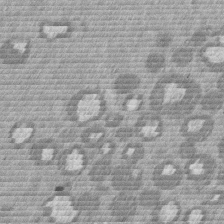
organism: Mouse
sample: Dividing mouse embryo 1 cell stage